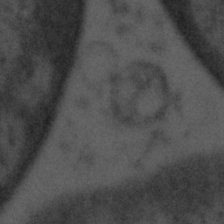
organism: Tuwongella immobilis